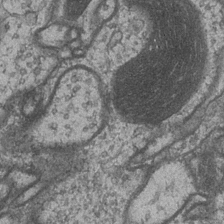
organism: Drosophila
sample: Optic medulla